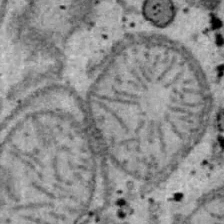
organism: Mouse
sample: Liver from an obese (ob/ob) mouse